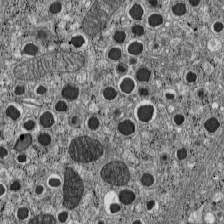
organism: C57BL Mouse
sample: Pancreatic islet